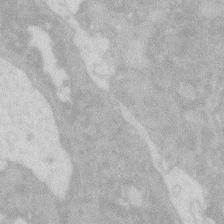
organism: Zebrafish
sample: Macrophage